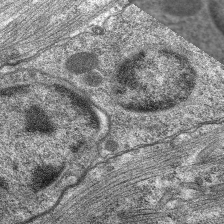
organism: C. elegans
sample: Pharynx